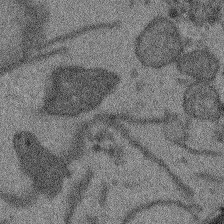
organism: Arabidopsis thaliana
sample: Root tip